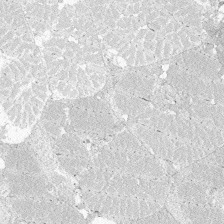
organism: Zebrafish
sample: Whole-Brain